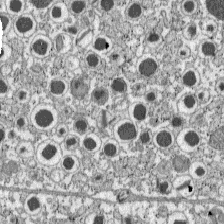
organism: C57BL Mouse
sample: Pancreatic islet